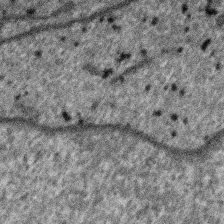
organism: Human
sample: Lung epithelial cells infected with SARS-CoV-2